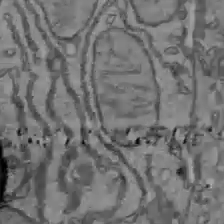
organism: C57BL Mouse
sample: Liver